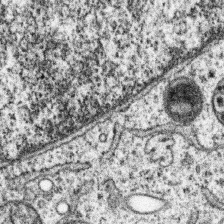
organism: Human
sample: HeLa cells